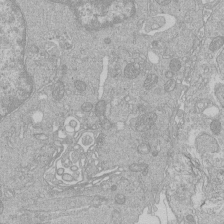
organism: Human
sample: Macrophage cells